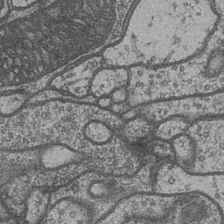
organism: Drosophila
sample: Optic medulla